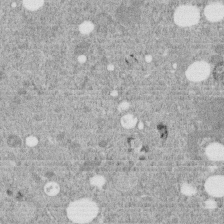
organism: C. elegans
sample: C. elegans embryo early stage